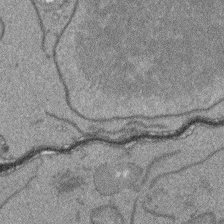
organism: Arabidopsis thaliana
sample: Root tip